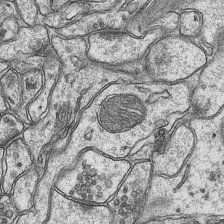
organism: Mouse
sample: CA1 Hippocampus